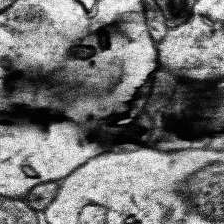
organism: Human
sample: Temporal Lobe